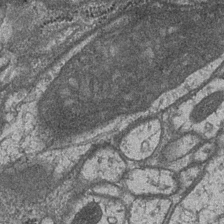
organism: Drosophila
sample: Optic medulla